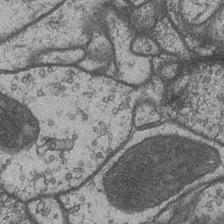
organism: Drosophila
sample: Optic medulla